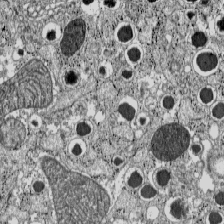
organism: C57BL Mouse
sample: Pancreatic islet